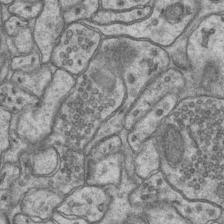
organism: Mouse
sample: CA1 Hippocampus